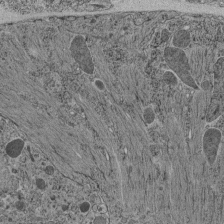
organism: C. elegans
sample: C. elegans pharynx